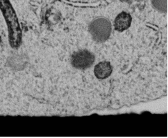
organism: C. elegans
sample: C. elegans embryo early stage